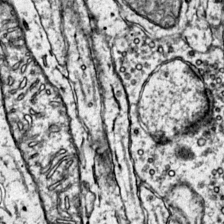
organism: Mouse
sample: Primary visual cortex